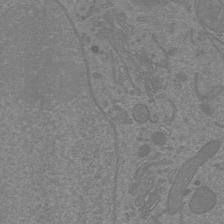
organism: Mouse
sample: Cortical neurons